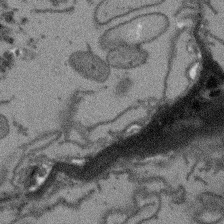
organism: Arabidopsis thaliana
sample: Root tip